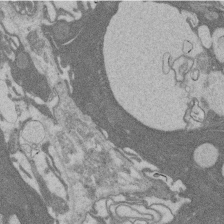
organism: Rat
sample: Salivary granule